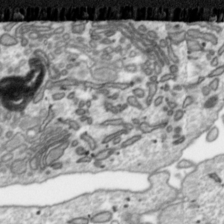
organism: Toxoplasma gondii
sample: Parasites in a vacuole inside a host cell